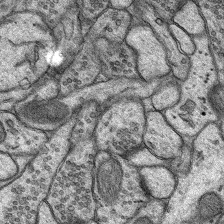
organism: Rat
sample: Hippocampus